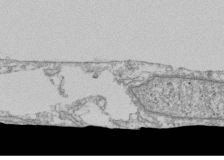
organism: Human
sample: Fibroblast cells